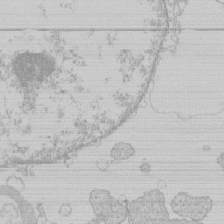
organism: Human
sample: Macrophage cells